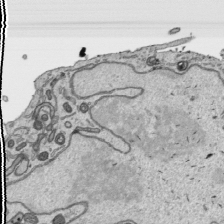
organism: Human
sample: Mitochondria in HCT116 cells